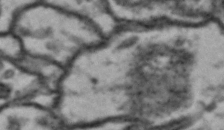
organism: Drosophila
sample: Brain